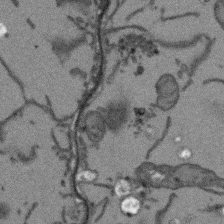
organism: Arabidopsis thaliana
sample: Root tip